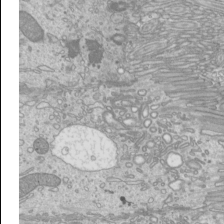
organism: Mouse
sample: Cilia; mouse epididymis